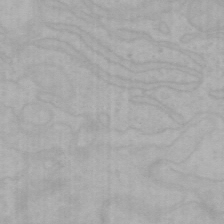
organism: Mouse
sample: Choroid plexus